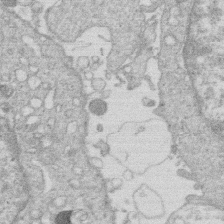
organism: Human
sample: Macrophage cells